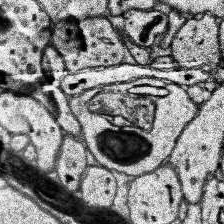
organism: Human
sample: Temporal Lobe